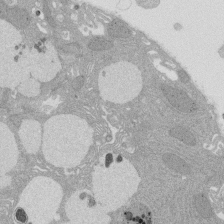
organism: Rat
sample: Salivary granule